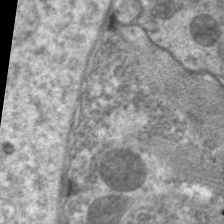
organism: C. elegans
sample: Pharynx